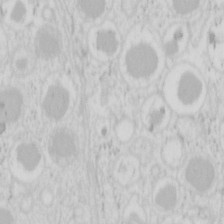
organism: Mouse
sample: Pancreas